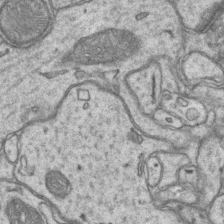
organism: Mouse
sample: CA1 Hippocampus